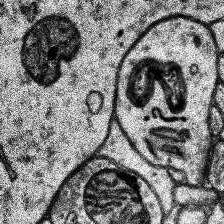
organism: Human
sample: Temporal Lobe